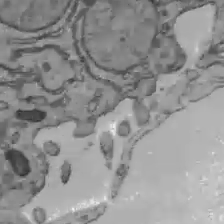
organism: C57BL Mouse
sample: Liver